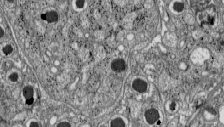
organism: C57BL Mouse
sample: Pancreatic islet